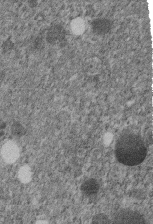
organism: C. elegans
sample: C. elegans embryo early stage